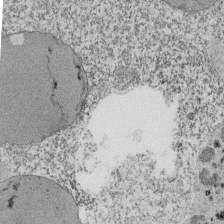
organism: Tetrahymena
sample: Cilia in tetrahymena